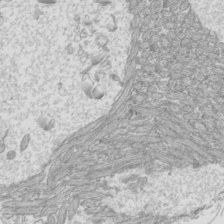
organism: Mouse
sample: Cilia; mouse epididymis